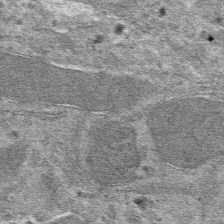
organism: Mouse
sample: Mouse hepatocytes